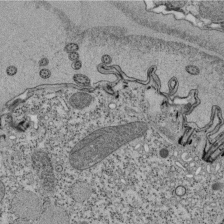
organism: Tetrahymena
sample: Cilia in tetrahymena